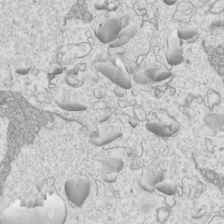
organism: Mouse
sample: Cilia; mouse epididymis